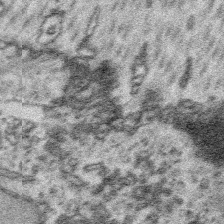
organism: Platynereis dumerilii